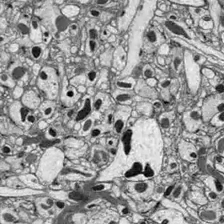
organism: Drosophila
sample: Optic lobe